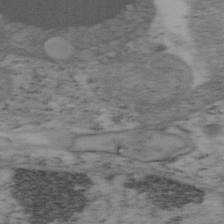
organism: Mouse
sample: OT-I killer T cells with ID8 ovarian cancer cells